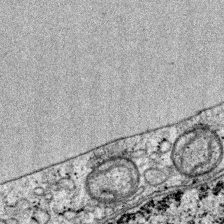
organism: Human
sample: HeLa cells